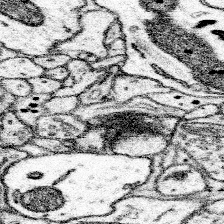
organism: Mouse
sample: Somatosensory cortex neuropil